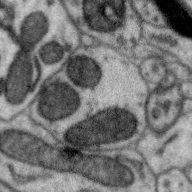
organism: Zebra finch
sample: Brain